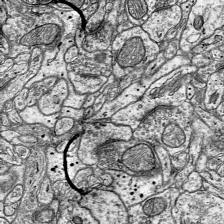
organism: Mouse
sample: Visual Cortex